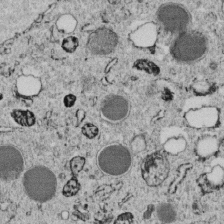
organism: C. elegans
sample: C. elegans embryo early stage